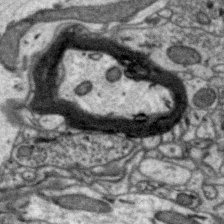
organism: Zebra finch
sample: Brain